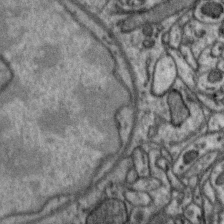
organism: Zebra finch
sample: Brain